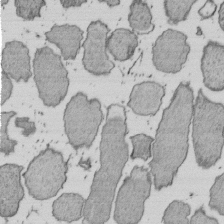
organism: E. coli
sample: Bacterial nucleoid